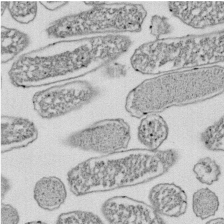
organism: E. coli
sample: Bacterial nucleoid